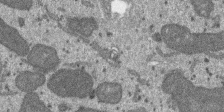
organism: Human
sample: Lung epithelial cells infected with SARS-CoV-2